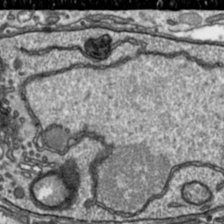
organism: Toxoplasma gondii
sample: Parasites in a vacuole inside a host cell